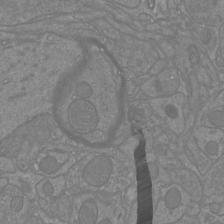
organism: Mouse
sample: Cortical neurons